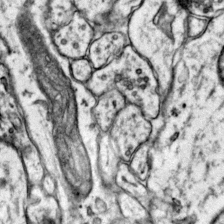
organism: Mouse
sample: Primary visual cortex